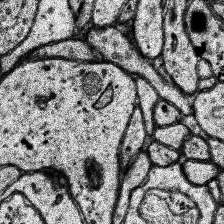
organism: Human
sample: Temporal Lobe